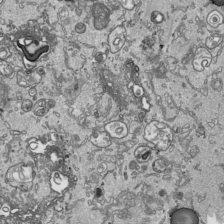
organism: Human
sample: Mitochondria in HCT116 cells